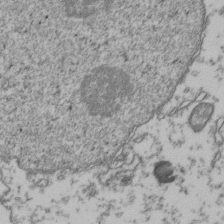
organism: Human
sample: Activated Jurkat CD4+ T cells